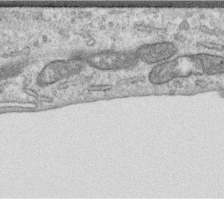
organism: Human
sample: Centriole in RPE cells